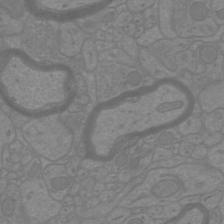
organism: Mouse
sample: Cortical neurons